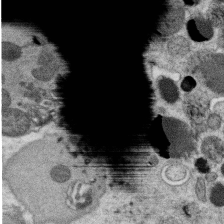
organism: C. elegans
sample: C. elegans oocyte; sperm cells